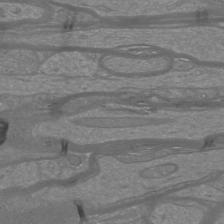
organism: Mouse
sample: Cortical neurons